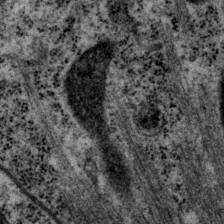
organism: P. pacificus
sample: Pharynx